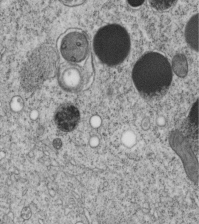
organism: C. elegans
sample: C. elegans embryo early stage